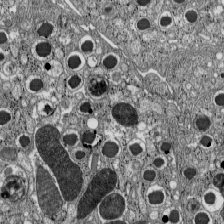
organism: C57BL Mouse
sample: Pancreatic islet